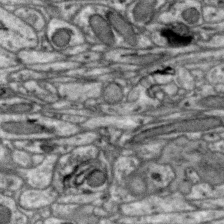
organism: Zebra finch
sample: Brain